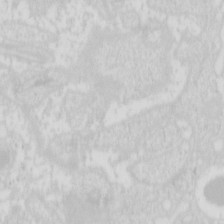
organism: Mouse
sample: Pancreas